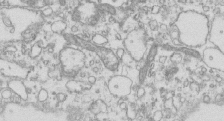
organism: Mouse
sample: Macrophages